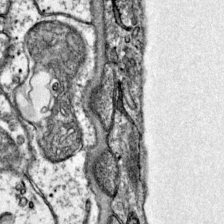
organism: Mouse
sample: Primary visual cortex